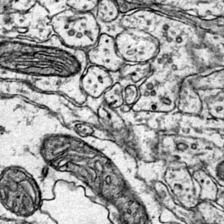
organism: Mouse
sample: Primary visual cortex